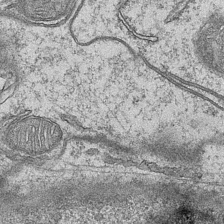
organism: Mouse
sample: CA1 Hippocampus